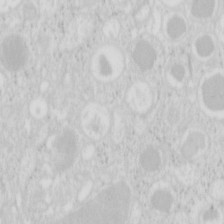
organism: Mouse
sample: Pancreas